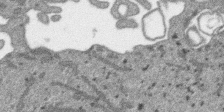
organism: Human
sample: Lung epithelial cells infected with SARS-CoV-2